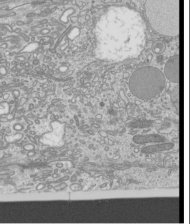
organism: Mouse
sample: Cilia; mouse epididymis